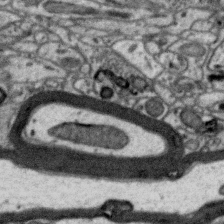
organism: Zebra finch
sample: Brain